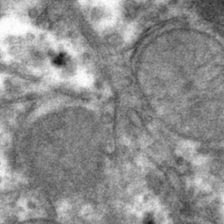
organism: Mouse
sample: Mouse hepatocytes